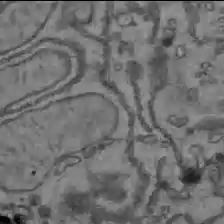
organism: C57BL Mouse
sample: Liver